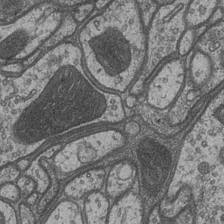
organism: Drosophila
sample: Optic medulla